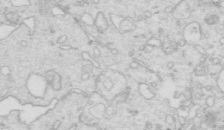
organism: Mouse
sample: Multiciliated cells